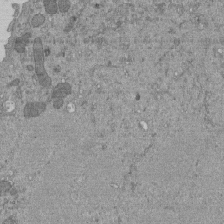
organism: Mouse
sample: ED-1 cell nuclei; centrioles